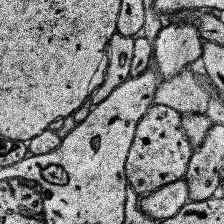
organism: Human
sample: Temporal Lobe